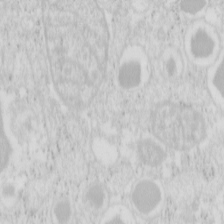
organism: Mouse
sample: Pancreas